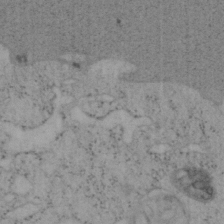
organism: Mouse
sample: OT-I killer T cells with ID8 ovarian cancer cells